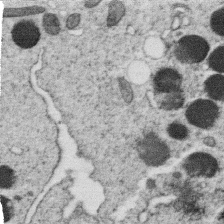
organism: C. elegans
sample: C. elegans oocyte; sperm cells